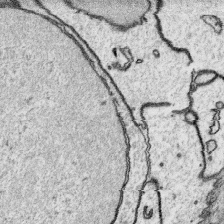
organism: Platynereis dumerilii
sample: Parapodia